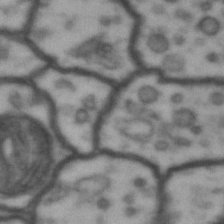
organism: Drosophila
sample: Brain